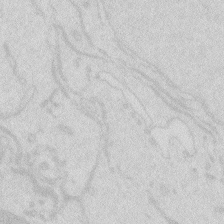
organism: Zebrafish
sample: Macrophage